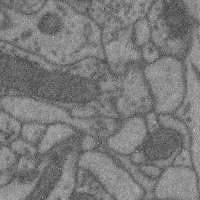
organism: Mouse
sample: Cerebral cortex